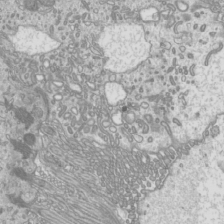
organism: Mouse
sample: Cilia; mouse epididymis